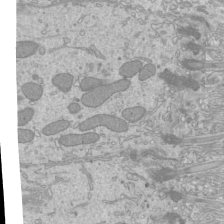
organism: Mouse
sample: Cilia; mouse epididymis